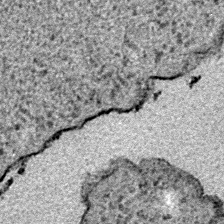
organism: E. coli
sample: E. Coli Bacteria